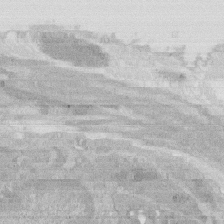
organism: Rat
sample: Salivary granule